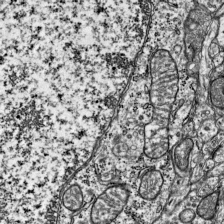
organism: Mouse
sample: Visual Cortex